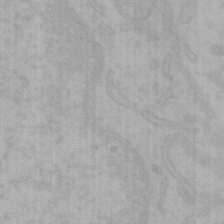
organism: Mouse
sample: Choroid plexus